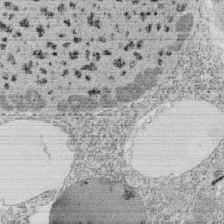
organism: Tetrahymena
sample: Cilia in tetrahymena